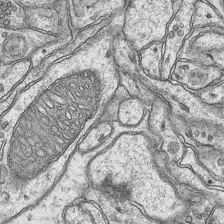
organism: Mouse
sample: CA1 Hippocampus